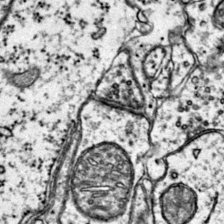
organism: Mouse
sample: Primary visual cortex